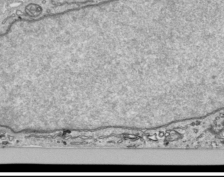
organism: Human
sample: Mitochondria in HCT116 cells